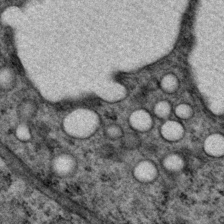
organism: P. pacificus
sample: Pharynx